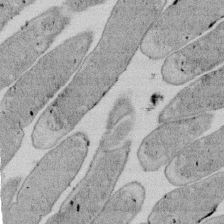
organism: E. coli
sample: Bacterial nucleoid